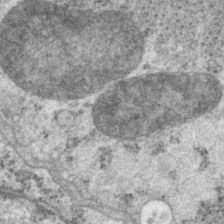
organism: P. pacificus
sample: Pharynx